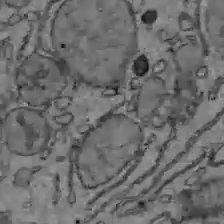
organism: C57BL Mouse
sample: Liver